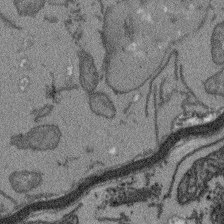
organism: Arabidopsis thaliana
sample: Root tip